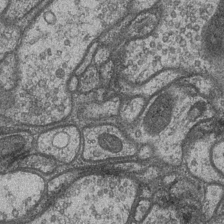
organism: Drosophila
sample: Optic medulla